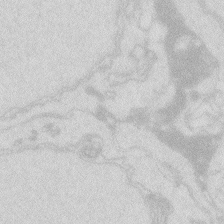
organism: Zebrafish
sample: Macrophage